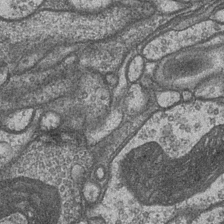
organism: Drosophila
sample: Optic medulla